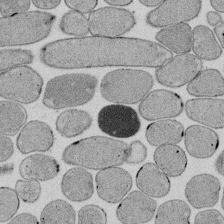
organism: E. coli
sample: Bacterial nucleoid